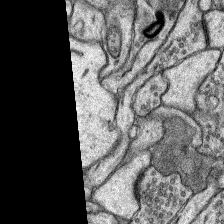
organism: Rat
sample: Hippocampus